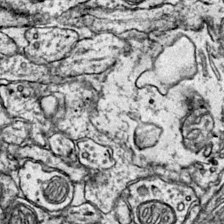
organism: Mouse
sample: Primary visual cortex